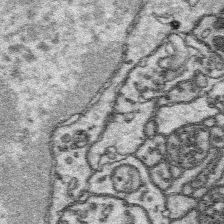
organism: Platynereis dumerilii